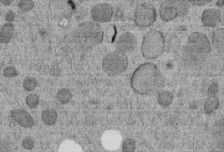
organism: C. elegans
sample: C. elegans embryo early stage